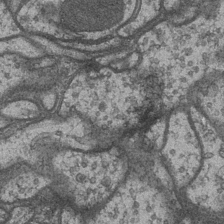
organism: Drosophila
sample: Optic medulla